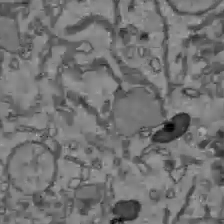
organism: C57BL Mouse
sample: Liver